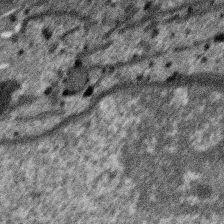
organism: Human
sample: Lung epithelial cells infected with SARS-CoV-2